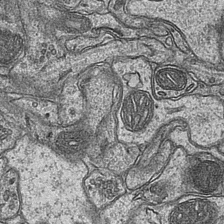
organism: Mouse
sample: CA1 Hippocampus